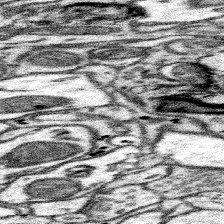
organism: Mouse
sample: Somatosensory cortex neuropil